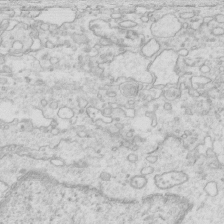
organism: Mouse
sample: Multiciliated cells